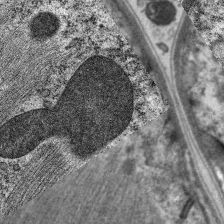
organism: C. elegans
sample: Pharynx